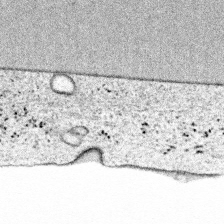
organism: Human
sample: HeLa cells